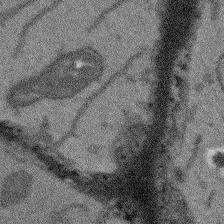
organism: Arabidopsis thaliana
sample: Root tip